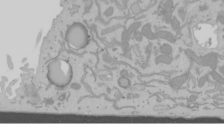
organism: Mouse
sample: Cancer cell death in ED-1 cells